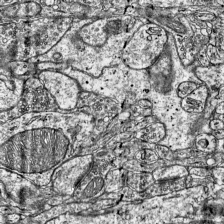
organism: Mouse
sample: Visual Cortex